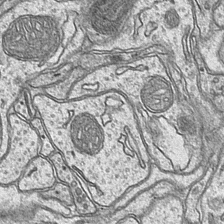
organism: Mouse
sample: CA1 Hippocampus